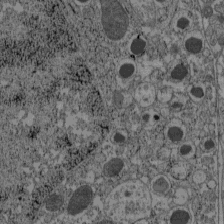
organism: C57BL Mouse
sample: Pancreatic islet